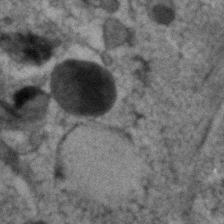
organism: Human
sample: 1205lu cells